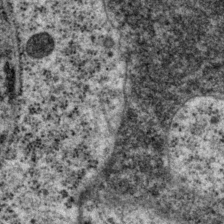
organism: P. pacificus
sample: Pharynx